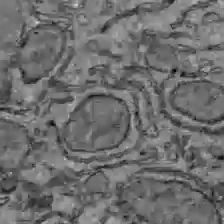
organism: C57BL Mouse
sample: Liver